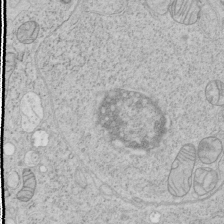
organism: Human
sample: Mitochondria in HCT116 cells